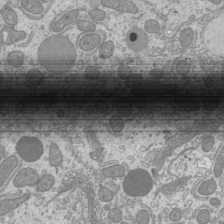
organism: Mouse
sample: Cilia; mouse epididymis